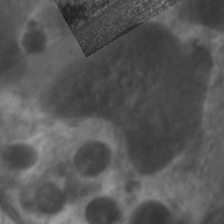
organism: C. elegans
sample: Pharynx